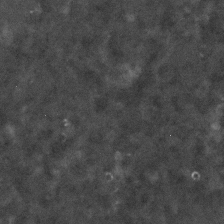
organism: C. elegans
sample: C. elegans embryo